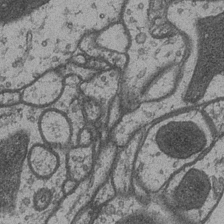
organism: Drosophila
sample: Optic medulla